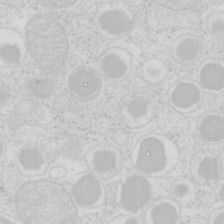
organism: Mouse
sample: Pancreas